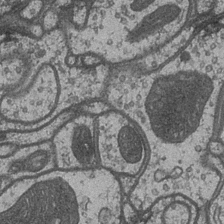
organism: Drosophila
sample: Optic medulla